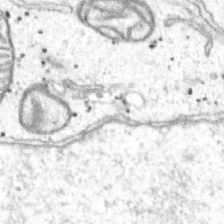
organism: Human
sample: HeLa cells